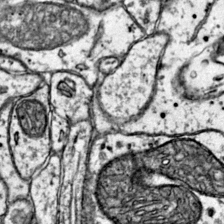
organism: Mouse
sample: Primary visual cortex